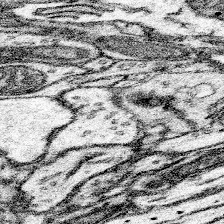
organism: Mouse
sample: Somatosensory cortex neuropil